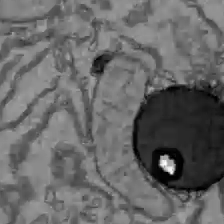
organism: C57BL Mouse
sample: Liver